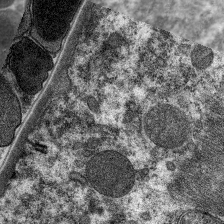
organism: C. elegans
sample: Pharynx